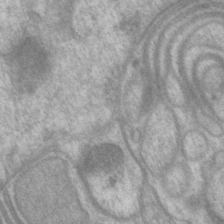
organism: P. pacificus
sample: Pharynx